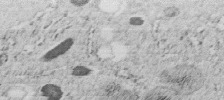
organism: C. elegans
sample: C. elegans embryo early stage